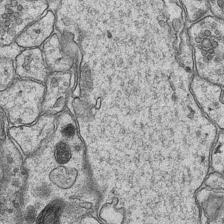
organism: Mouse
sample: CA1 Hippocampus